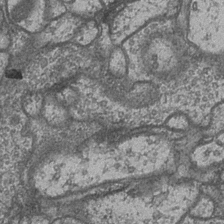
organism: Drosophila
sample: Optic medulla